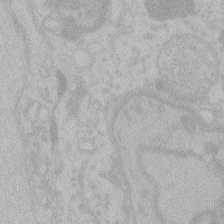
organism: Zebrafish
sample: Macrophage infected with Toxoplasma gondii